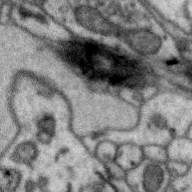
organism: Zebra finch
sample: Brain